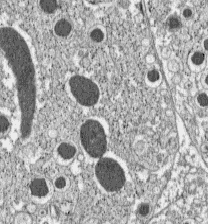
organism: C57BL Mouse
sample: Pancreatic islet